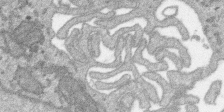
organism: Human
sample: Lung epithelial cells infected with SARS-CoV-2